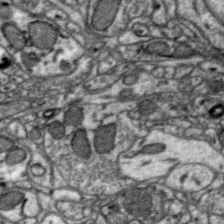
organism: Zebra finch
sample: Brain